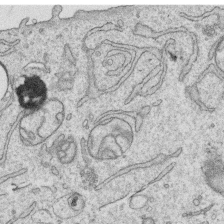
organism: Human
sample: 1205lu cells